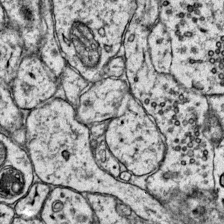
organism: Mouse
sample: Primary visual cortex